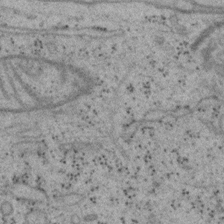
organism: Human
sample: HeLa cells